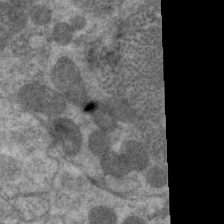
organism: C. elegans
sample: Pharynx